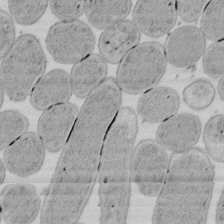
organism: E. coli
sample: Bacterial nucleoid